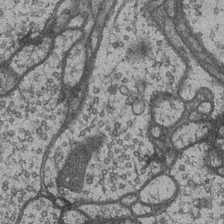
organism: Drosophila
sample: Optic medulla